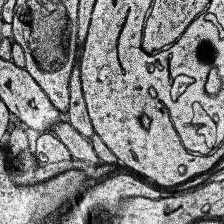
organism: Human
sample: Temporal Lobe